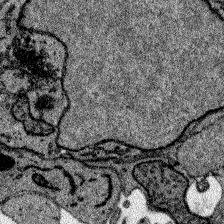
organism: Zebrafish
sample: Larval olfactory bulb